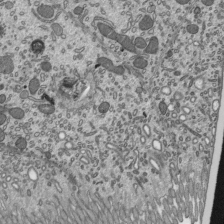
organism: Mouse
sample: Mouse epididymis efferent ductule cilia